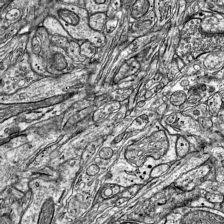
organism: Mouse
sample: Visual Cortex